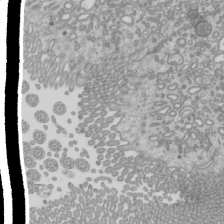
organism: Mouse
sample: Cilia; mouse epididymis